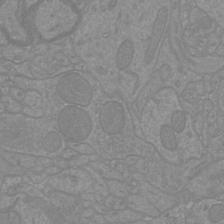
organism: Mouse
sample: Cortical neurons